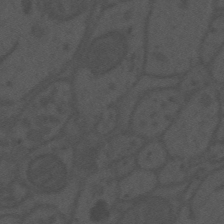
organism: Mouse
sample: Suprachiasmatic nucleus